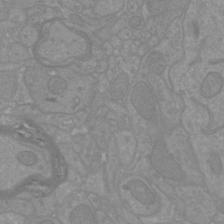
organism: Mouse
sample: Cortical neurons